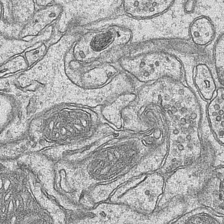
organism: Mouse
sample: CA1 Hippocampus